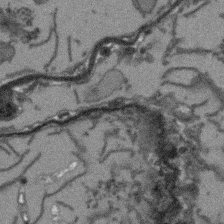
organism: Arabidopsis thaliana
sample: Root tip